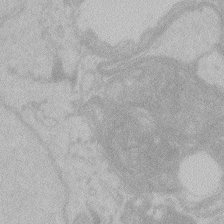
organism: Zebrafish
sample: Macrophage infected with Toxoplasma gondii